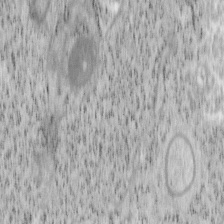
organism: Human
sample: HeLa cells